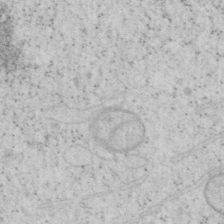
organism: Human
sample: HeLa cells